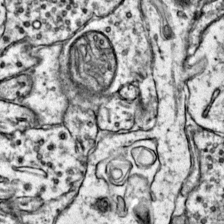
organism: Mouse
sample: Primary visual cortex